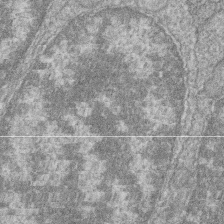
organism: Zebrafish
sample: Cilia; retinal pigment epithelium